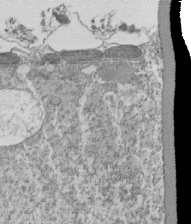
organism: Tetrahymena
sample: Cilia in tetrahymena